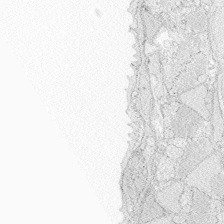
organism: Zebrafish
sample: Whole-Brain